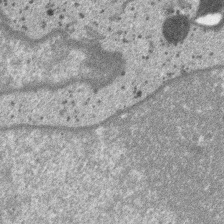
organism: Human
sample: Lung epithelial cells infected with SARS-CoV-2